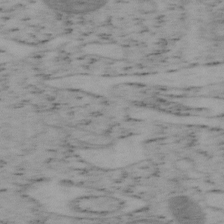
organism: Mouse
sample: OT-I killer T cells with ID8 ovarian cancer cells